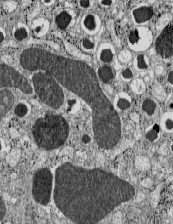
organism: C57BL Mouse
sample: Pancreatic islet